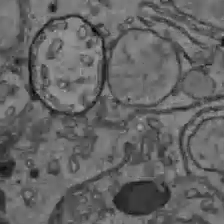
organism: C57BL Mouse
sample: Liver